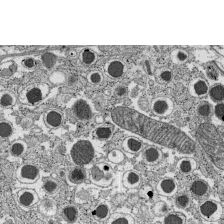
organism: C57BL Mouse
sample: Pancreatic islet